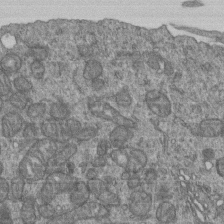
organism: Human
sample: Retinal organoid Rod and Cone cells